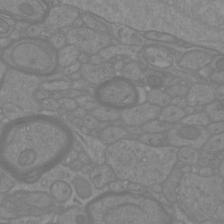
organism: Mouse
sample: Cortical neurons